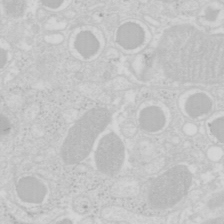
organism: Mouse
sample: Pancreas